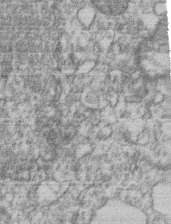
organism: Mouse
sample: T cell stromal cell synapse